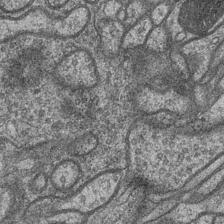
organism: Drosophila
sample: Optic medulla